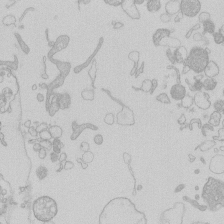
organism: Human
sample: Macrophage cells